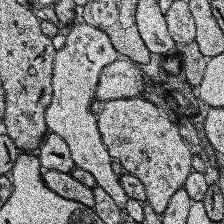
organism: Human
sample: Temporal Lobe